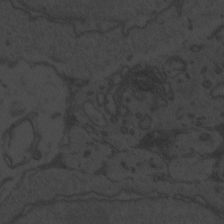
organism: Zebrafish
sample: Macrophage infected with Toxoplasma gondii